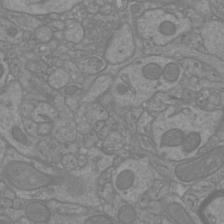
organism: Mouse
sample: Cortical neurons